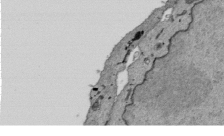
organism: Mouse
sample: ED-1 cell nuclei; centrioles